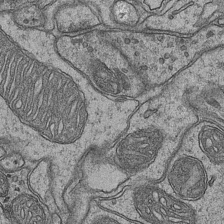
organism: Mouse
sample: CA1 Hippocampus